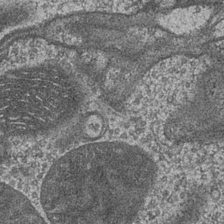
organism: Drosophila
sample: Optic medulla